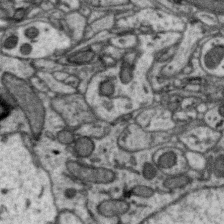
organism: Zebra finch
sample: Brain